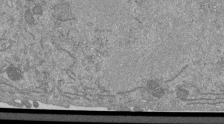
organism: Mouse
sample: ED-1 cell nuclei; centrioles